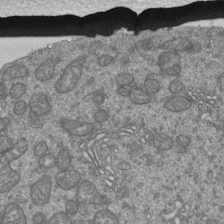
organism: Human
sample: Retinal organoid Rod and Cone cells